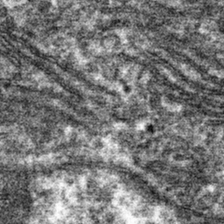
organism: Mouse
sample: Mouse hepatocytes